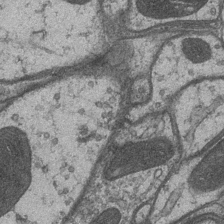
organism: Drosophila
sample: Optic medulla